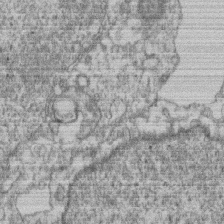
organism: Mouse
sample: T cell stromal cell synapse